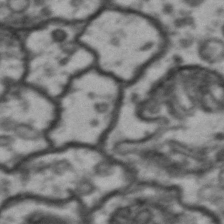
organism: Drosophila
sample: Brain